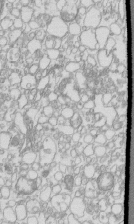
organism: Mouse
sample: Macrophages